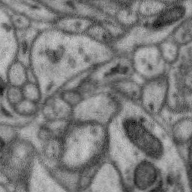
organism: Zebra finch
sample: Brain